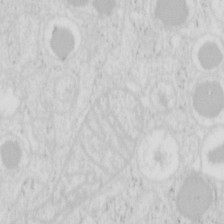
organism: Mouse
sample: Pancreas